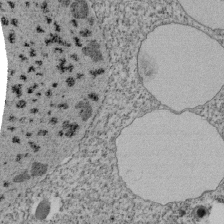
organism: Tetrahymena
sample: Cilia in tetrahymena